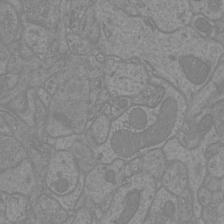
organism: Mouse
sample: Cortical neurons